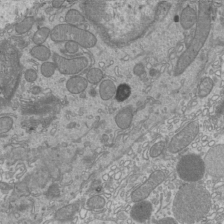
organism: Mouse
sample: Cilia; mouse epididymis